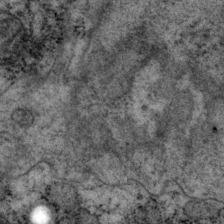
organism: P. pacificus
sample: Pharynx